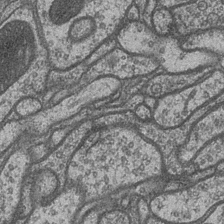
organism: Drosophila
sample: Optic medulla